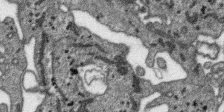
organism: Human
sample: Lung epithelial cells infected with SARS-CoV-2